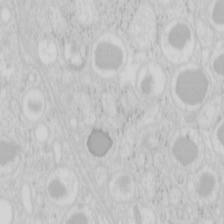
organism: Mouse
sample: Pancreas